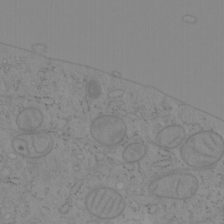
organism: Human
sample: HeLa cells